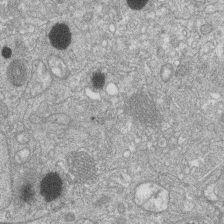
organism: Human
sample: HeLa cell HIV synapse